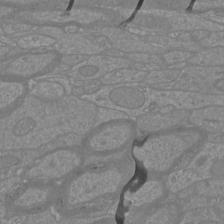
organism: Mouse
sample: Cortical neurons